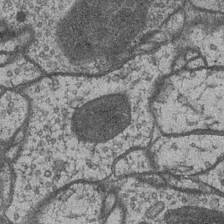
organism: Drosophila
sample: Optic medulla